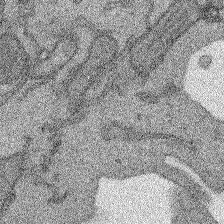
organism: Human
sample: HeLa cells